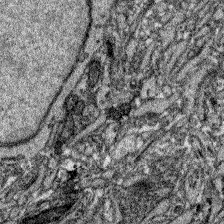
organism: Zebrafish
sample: Larval olfactory bulb